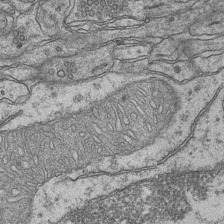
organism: Mouse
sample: CA1 Hippocampus